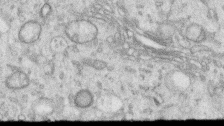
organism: Human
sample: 1205lu cells